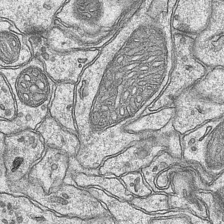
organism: Mouse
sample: CA1 Hippocampus